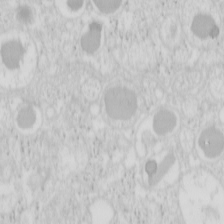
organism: Mouse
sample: Pancreas